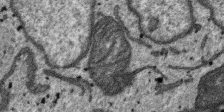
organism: Human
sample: Lung epithelial cells, uninfected (mock) control